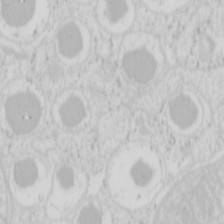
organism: Mouse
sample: Pancreas